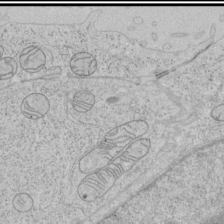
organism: Human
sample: Mitochondria in HCT116 cells